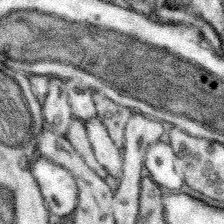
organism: Mouse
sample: Somatosensory cortex neuropil